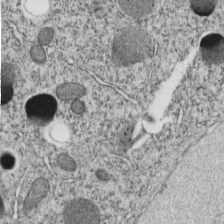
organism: C. elegans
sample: C. elegans embryo early stage